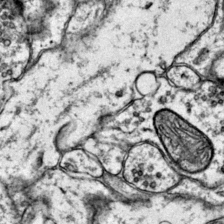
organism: Mouse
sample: Primary visual cortex